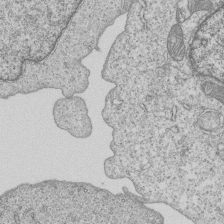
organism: Human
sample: MDA-MB-231 cells